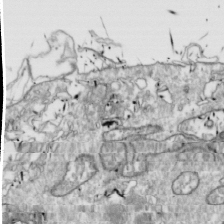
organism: Drosophila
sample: Cell division; meiosis; drosophila spermatocytes